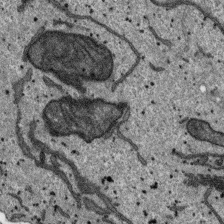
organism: Human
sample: Lung epithelial cells, uninfected (mock) control